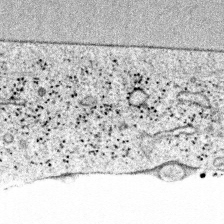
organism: Human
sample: HeLa cells